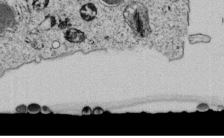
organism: C. elegans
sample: C. elegans embryo early stage